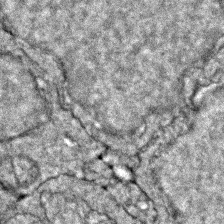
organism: Zebrafish